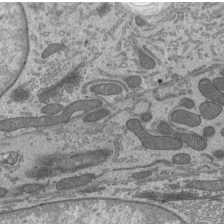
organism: Mouse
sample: Mouse epididymis efferent ductule cilia